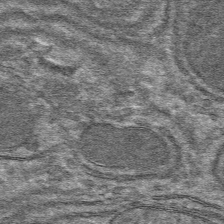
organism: Mouse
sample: Mouse hepatocytes